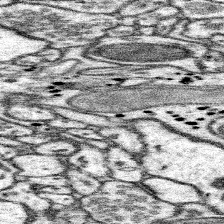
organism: Mouse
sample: Somatosensory cortex neuropil